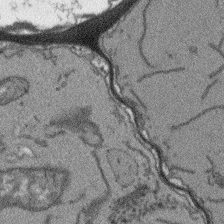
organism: Arabidopsis thaliana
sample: Root tip